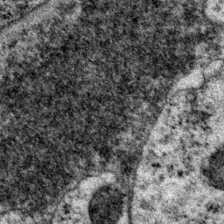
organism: P. pacificus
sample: Pharynx